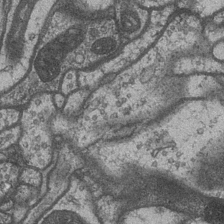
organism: Drosophila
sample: Optic medulla